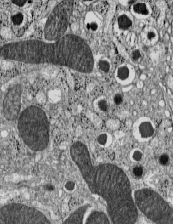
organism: C57BL Mouse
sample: Pancreatic islet